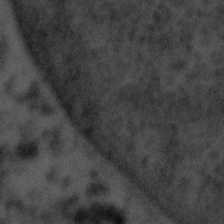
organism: Tuwongella immobilis